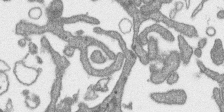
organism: Human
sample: Lung epithelial cells infected with SARS-CoV-2